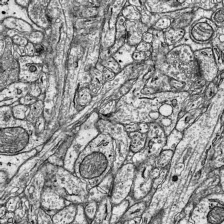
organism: Mouse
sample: Visual Cortex